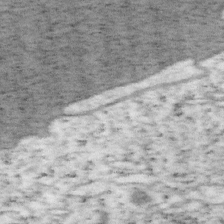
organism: Mouse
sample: OT-I killer T cells with ID8 ovarian cancer cells